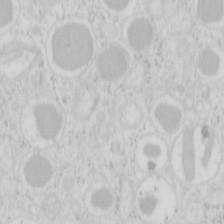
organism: Mouse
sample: Pancreas